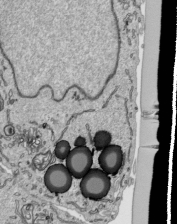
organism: Human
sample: Mitochondria in HCT116 cells